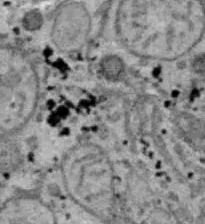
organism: Mouse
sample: Liver from an obese (ob/ob) mouse